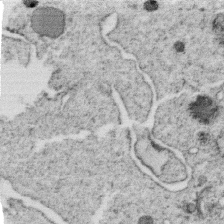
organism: C. elegans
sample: C. elegans oocyte; sperm cells